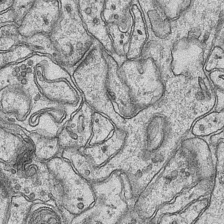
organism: Mouse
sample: CA1 Hippocampus